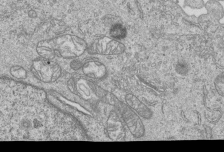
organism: Human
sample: MDA-MB-231 cells